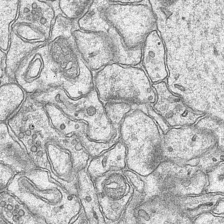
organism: Mouse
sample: CA1 Hippocampus